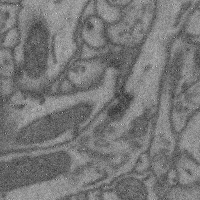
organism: Mouse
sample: Cerebral cortex